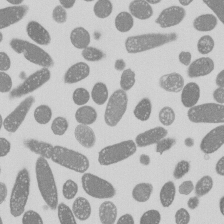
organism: E. coli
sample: Bacterial nucleoid